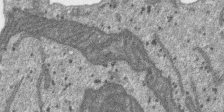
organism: Human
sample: Lung epithelial cells infected with SARS-CoV-2